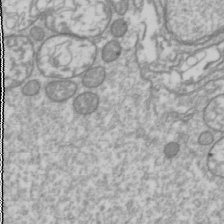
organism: Drosophila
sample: Cell division; meiosis; drosophila spermatocytes